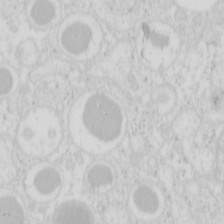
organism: Mouse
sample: Pancreas